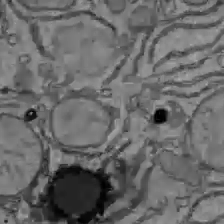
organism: C57BL Mouse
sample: Liver